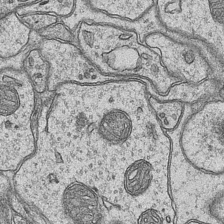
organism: Mouse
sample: CA1 Hippocampus